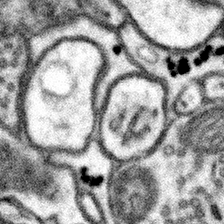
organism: Mouse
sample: Somatosensory cortex neuropil